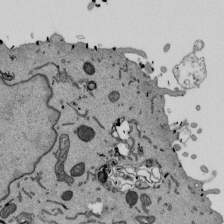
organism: Mouse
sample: ED-1 cell nuclei; centrioles